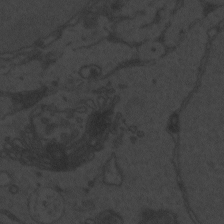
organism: Zebrafish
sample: Macrophage infected with Toxoplasma gondii